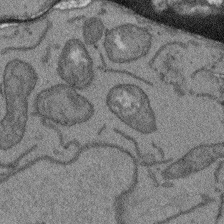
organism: Arabidopsis thaliana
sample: Root tip